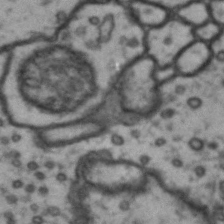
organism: Drosophila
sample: Brain